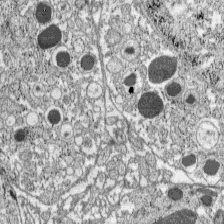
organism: C57BL Mouse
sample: Pancreatic islet